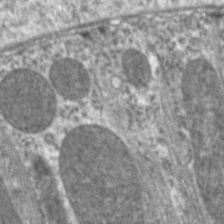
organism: C. elegans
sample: Pharynx